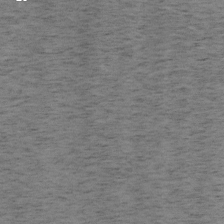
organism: Mouse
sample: OT-I killer T cells with ID8 ovarian cancer cells